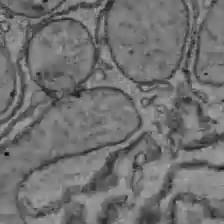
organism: C57BL Mouse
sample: Liver